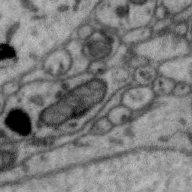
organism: Zebra finch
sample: Brain